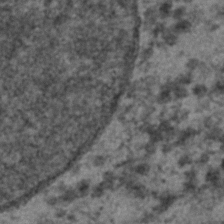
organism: C. elegans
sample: C. elegans embryo